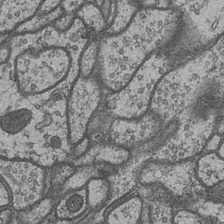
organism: Drosophila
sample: Optic medulla